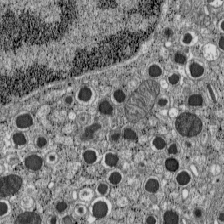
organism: C57BL Mouse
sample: Pancreatic islet